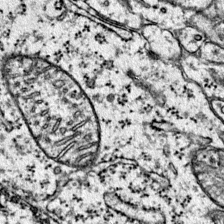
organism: Mouse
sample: Primary visual cortex